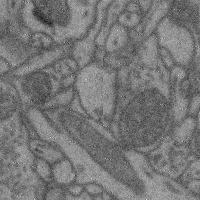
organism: Mouse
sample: Cerebral cortex